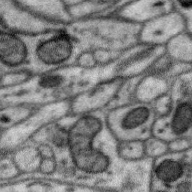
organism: Zebra finch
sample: Brain